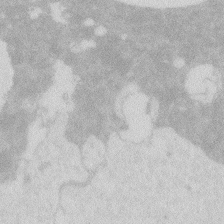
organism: Zebrafish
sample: Macrophage